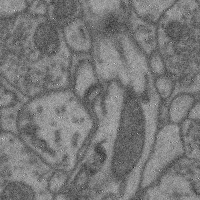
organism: Mouse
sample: Cerebral cortex